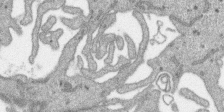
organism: Human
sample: Lung epithelial cells infected with SARS-CoV-2